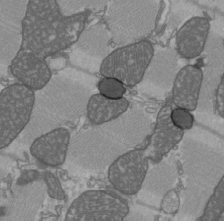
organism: C57BL Mouse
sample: Heart